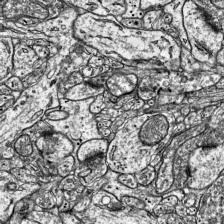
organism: Mouse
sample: Visual Cortex